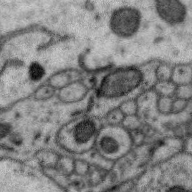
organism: Zebra finch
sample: Brain